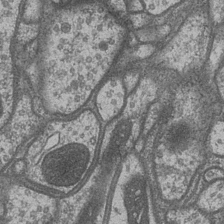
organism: Drosophila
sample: Optic medulla